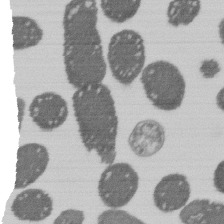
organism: E. coli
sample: Bacterial nucleoid